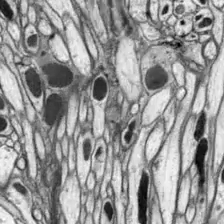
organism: Drosophila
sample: Optic lobe